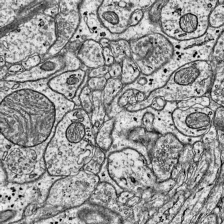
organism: Mouse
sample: Visual Cortex